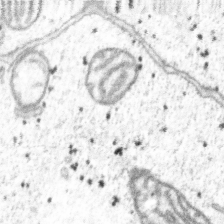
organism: Human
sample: HeLa cells